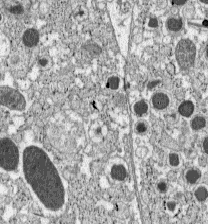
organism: C57BL Mouse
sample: Pancreatic islet